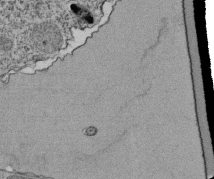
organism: Tetrahymena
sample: Cilia in tetrahymena